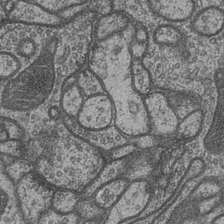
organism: Drosophila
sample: Optic medulla